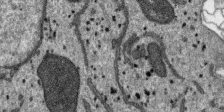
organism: Human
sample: Lung epithelial cells, uninfected (mock) control